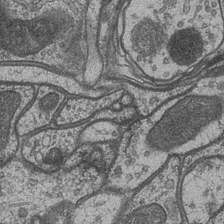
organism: Drosophila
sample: Optic medulla